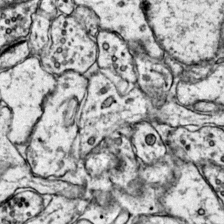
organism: Mouse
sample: Primary visual cortex